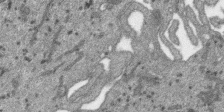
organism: Human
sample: Lung epithelial cells infected with SARS-CoV-2